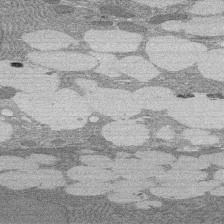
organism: Rat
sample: Salivary granule